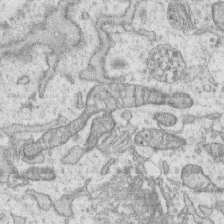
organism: Human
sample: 1205lu cells